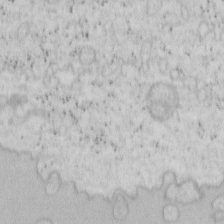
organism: Human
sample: HeLa cells